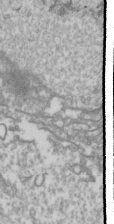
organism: Drosophila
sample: Cell division; meiosis; drosophila spermatocytes